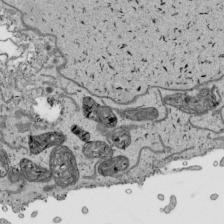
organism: Human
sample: Mitochondria in HCT116 cells